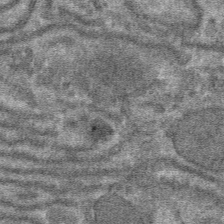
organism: Mouse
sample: Mouse hepatocytes